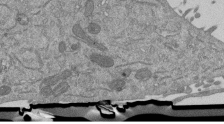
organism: Mouse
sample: ED-1 cell nuclei; centrioles